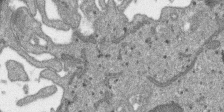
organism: Human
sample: Lung epithelial cells infected with SARS-CoV-2